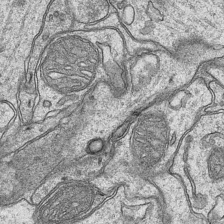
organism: Mouse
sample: CA1 Hippocampus